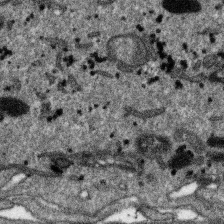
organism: Human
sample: Lung epithelial cells infected with SARS-CoV-2